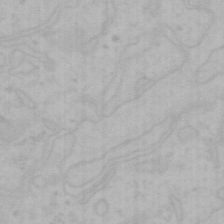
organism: Mouse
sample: Choroid plexus